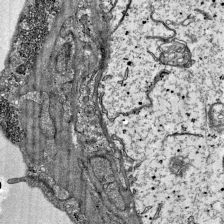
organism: Mouse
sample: Visual Cortex